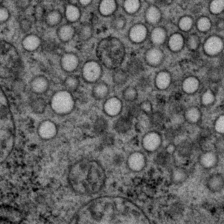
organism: P. pacificus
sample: Pharynx